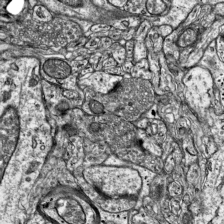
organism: Mouse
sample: Visual Cortex